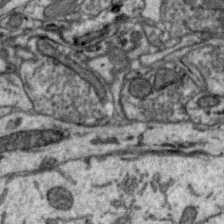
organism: Zebra finch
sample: Brain